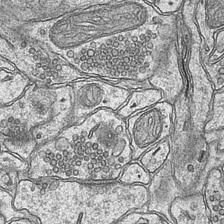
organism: Mouse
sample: CA1 Hippocampus